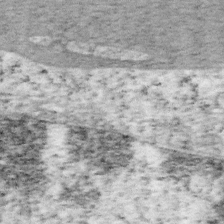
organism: Mouse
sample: OT-I killer T cells with ID8 ovarian cancer cells